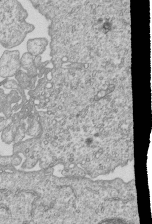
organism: Human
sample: MDA-MB-231 cells